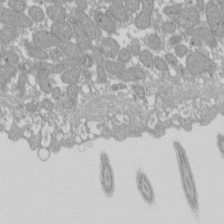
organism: Xenopus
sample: Cilia; centrioles in frog embryo cells